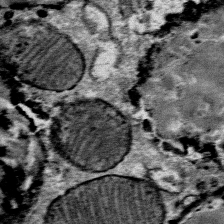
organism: Mouse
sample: Mouse Salivary gland